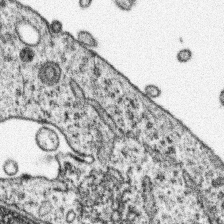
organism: Human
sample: HeLa cells